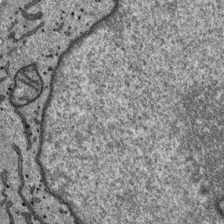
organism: Human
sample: Lung epithelial cells, uninfected (mock) control